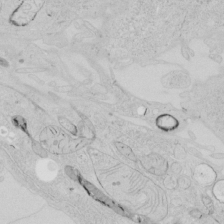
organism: Human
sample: Mitochondria in HCT116 cells